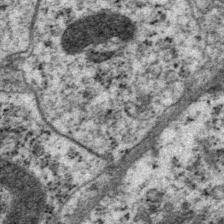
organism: P. pacificus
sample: Pharynx